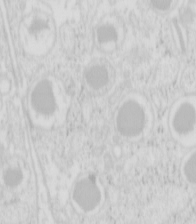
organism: Mouse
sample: Pancreas